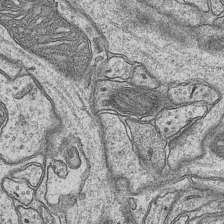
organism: Mouse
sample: CA1 Hippocampus